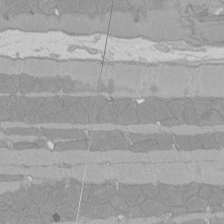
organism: Rat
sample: Left ventricle